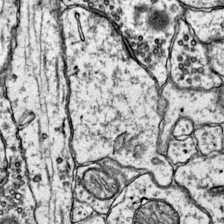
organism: Mouse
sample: Primary visual cortex